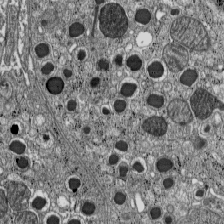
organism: C57BL Mouse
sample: Pancreatic islet